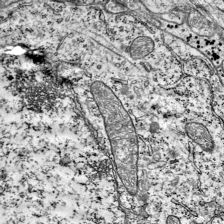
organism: Mouse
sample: Visual Cortex